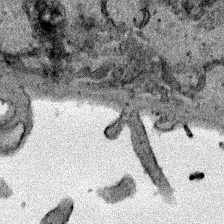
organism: Human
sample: Mitochondria in HCT116 cells